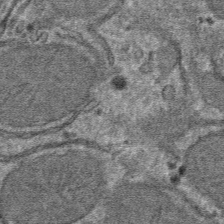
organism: Mouse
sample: Mouse hepatocytes